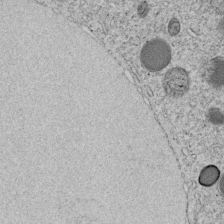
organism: C. elegans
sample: C. elegans embryo early stage